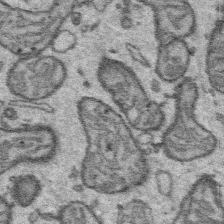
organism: Platynereis dumerilii